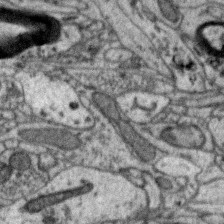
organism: Zebra finch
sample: Brain